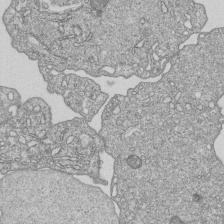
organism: Human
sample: MDA-MB-231 cells